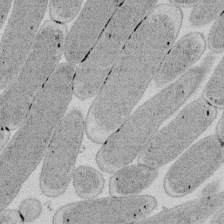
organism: E. coli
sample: Bacterial nucleoid